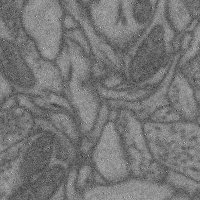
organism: Mouse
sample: Cerebral cortex